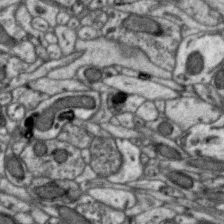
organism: Zebra finch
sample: Brain